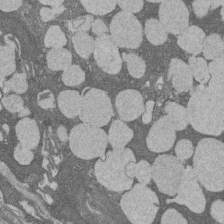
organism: Rat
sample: Salivary granule